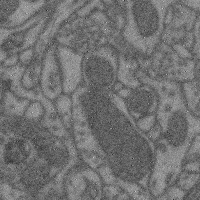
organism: Mouse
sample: Cerebral cortex